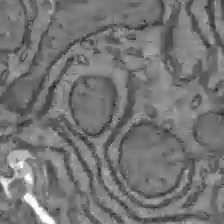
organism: C57BL Mouse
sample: Liver